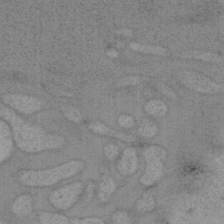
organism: Mouse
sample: OT-I killer T cells with ID8 ovarian cancer cells